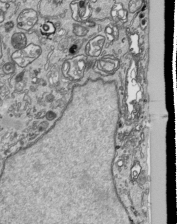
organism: Human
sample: Mitochondria in HCT116 cells